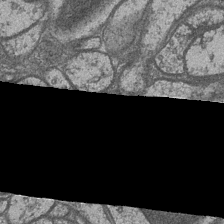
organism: Drosophila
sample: Optic medulla